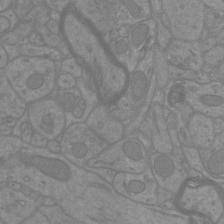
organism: Mouse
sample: Cortical neurons